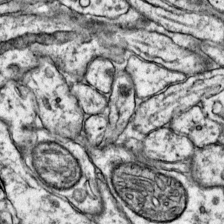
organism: Mouse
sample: Primary visual cortex